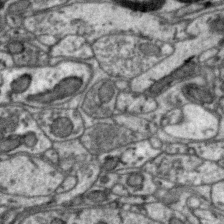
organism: Zebra finch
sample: Brain